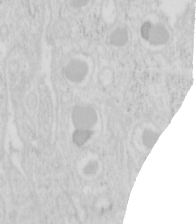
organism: Mouse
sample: Pancreas